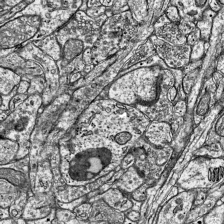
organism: Mouse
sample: Visual Cortex